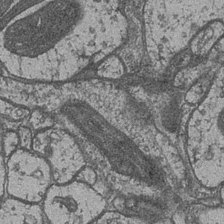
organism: Drosophila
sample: Optic medulla